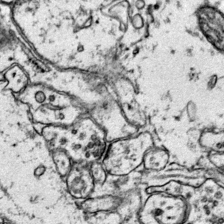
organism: Mouse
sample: Primary visual cortex